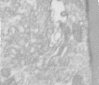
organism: Human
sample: Centriole in RPE cells